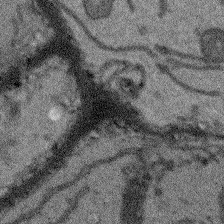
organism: Arabidopsis thaliana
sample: Root tip